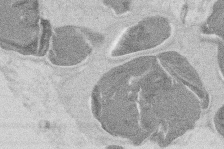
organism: Mouse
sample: T cell stromal cell synapse